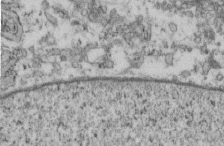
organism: Mouse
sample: Cilia; retinal pigment epithelium